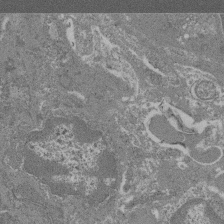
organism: Mouse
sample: Glomerulus